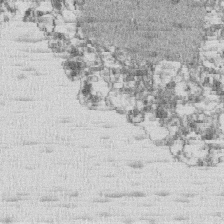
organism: Human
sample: HeLa cell HIV synapse